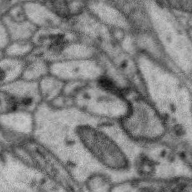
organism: Zebra finch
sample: Brain